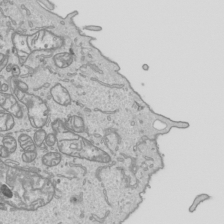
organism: Human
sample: Mitochondria in HCT116 cells